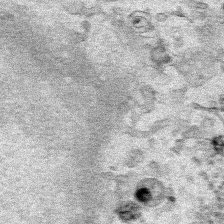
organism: Human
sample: Mitochondria in HCT116 cells